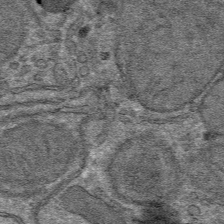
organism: Mouse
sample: Mouse hepatocytes